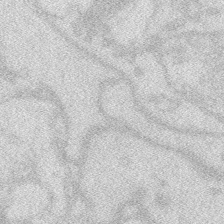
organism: Zebrafish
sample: Macrophage